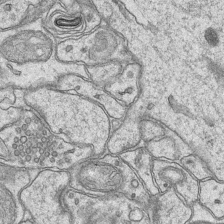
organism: Mouse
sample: CA1 Hippocampus